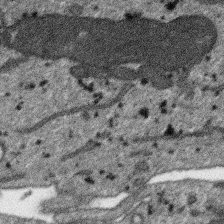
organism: Human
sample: Lung epithelial cells infected with SARS-CoV-2